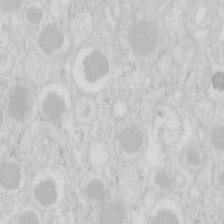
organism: Mouse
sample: Pancreas